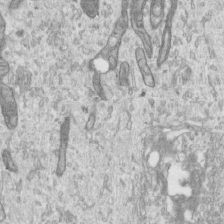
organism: Human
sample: Centriole in RPE cells